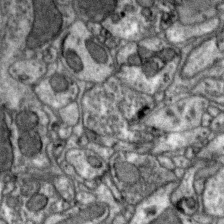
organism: Zebra finch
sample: Brain